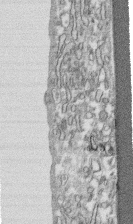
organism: Human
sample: CRL-1474